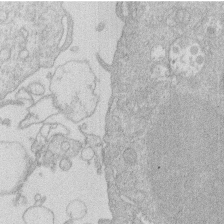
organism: Human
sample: Macrophage cells